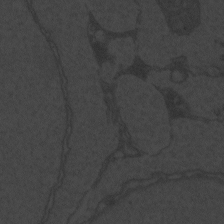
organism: Zebrafish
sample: Macrophage infected with Toxoplasma gondii